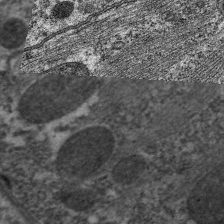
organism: C. elegans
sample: Pharynx